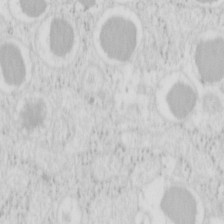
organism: Mouse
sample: Pancreas